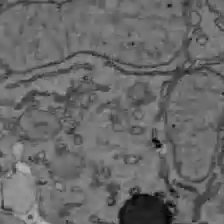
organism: C57BL Mouse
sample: Liver